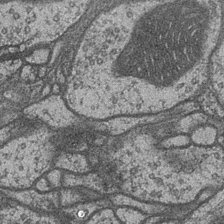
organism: Drosophila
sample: Optic medulla